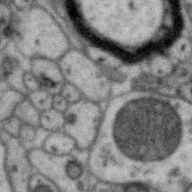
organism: Zebra finch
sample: Brain